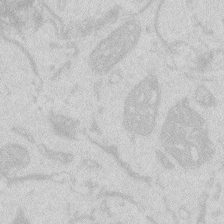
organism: Zebrafish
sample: Macrophage